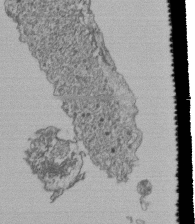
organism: Human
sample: Retinal organoid Rod and Cone cells